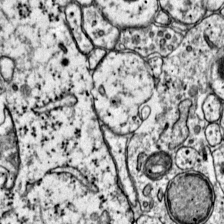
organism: Mouse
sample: Primary visual cortex